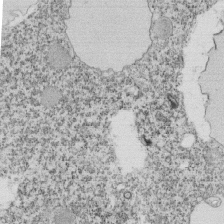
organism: Tetrahymena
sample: Cilia in tetrahymena